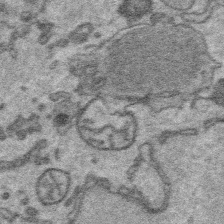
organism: Platynereis dumerilii